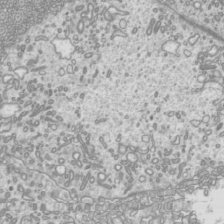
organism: Mouse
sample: Cilia; mouse epididymis